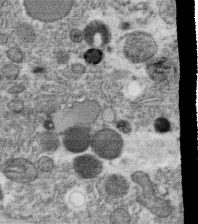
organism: C. elegans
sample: C. elegans oocyte; sperm cells